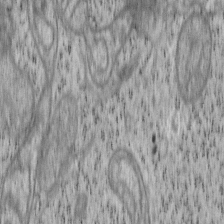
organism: Human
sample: HeLa cells